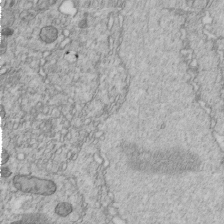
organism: C. elegans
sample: C. elegans embryo early stage